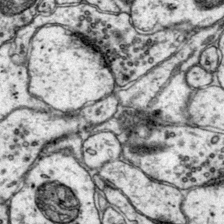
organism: Mouse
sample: Primary visual cortex